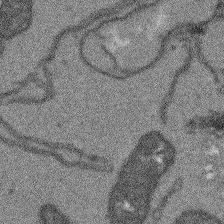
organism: Arabidopsis thaliana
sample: Root tip